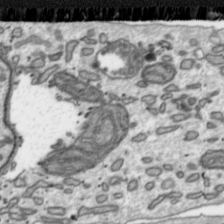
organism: Toxoplasma gondii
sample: Parasites in a vacuole inside a host cell